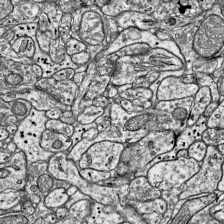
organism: Mouse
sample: Visual Cortex